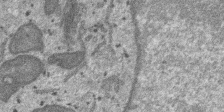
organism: Human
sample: Lung epithelial cells infected with SARS-CoV-2